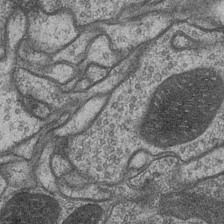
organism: Drosophila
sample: Optic medulla